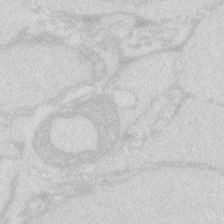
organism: Zebrafish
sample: Macrophage